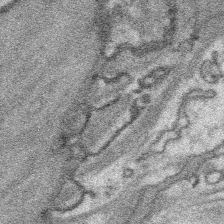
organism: Platynereis dumerilii